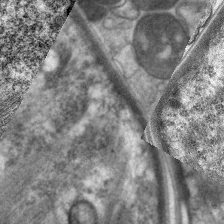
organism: C. elegans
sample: Pharynx